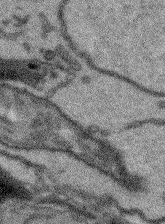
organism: Arabidopsis thaliana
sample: Root tip